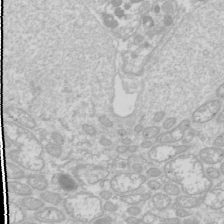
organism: Drosophila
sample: Cell division; meiosis; drosophila spermatocytes